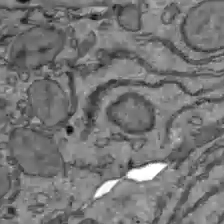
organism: C57BL Mouse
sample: Liver